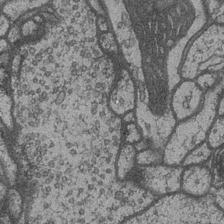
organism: Drosophila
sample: Optic medulla